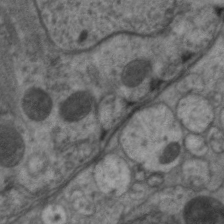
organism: C. elegans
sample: Pharynx